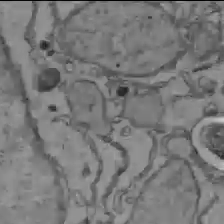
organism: C57BL Mouse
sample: Liver